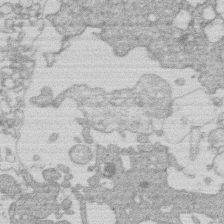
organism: Human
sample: Macrophage cells